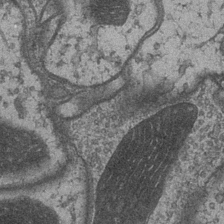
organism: Drosophila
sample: Optic medulla